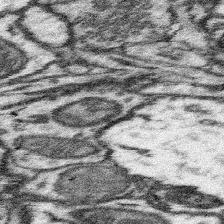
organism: Mouse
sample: Somatosensory cortex neuropil